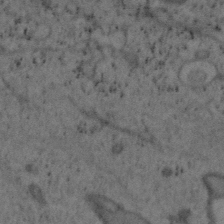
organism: Human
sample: HeLa cells